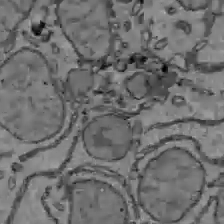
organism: C57BL Mouse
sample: Liver